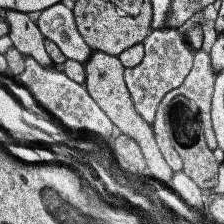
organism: Human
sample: Temporal Lobe